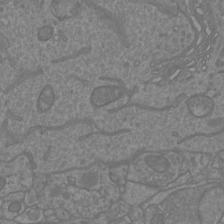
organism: Mouse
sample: Cortical neurons